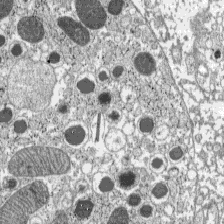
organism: C57BL Mouse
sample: Pancreatic islet